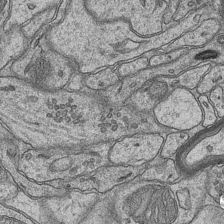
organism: Mouse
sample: CA1 Hippocampus